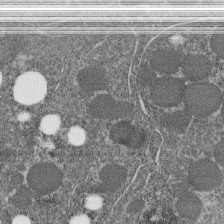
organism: C. elegans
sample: C. elegans embryo early stage